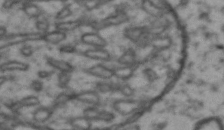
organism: Drosophila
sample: Brain